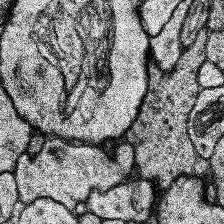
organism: Human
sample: Temporal Lobe